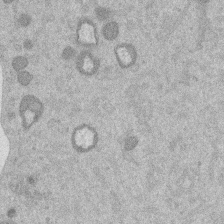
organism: Mouse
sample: Dividing mouse embryo 1 cell stage